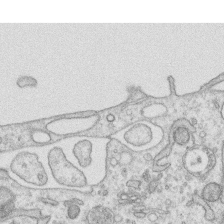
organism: Human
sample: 1205lu cells